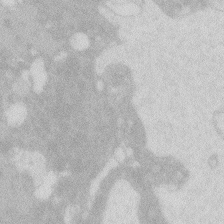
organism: Zebrafish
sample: Macrophage